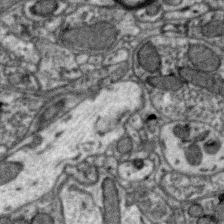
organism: Zebra finch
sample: Brain